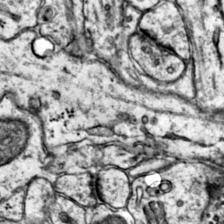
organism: Mouse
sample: Primary visual cortex